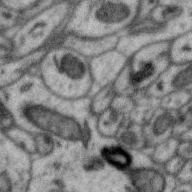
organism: Zebra finch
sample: Brain